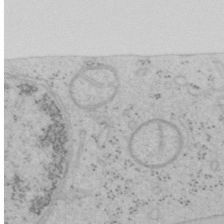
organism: Human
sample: HeLa cells